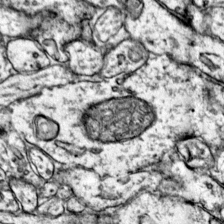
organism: Mouse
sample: Primary visual cortex